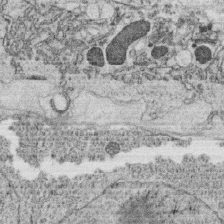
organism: C. elegans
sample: C. elegans oocyte; sperm cells